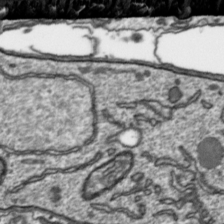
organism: Toxoplasma gondii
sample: Parasites in a vacuole inside a host cell